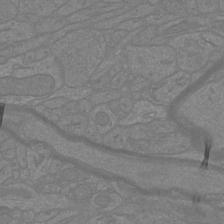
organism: Mouse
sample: Cortical neurons